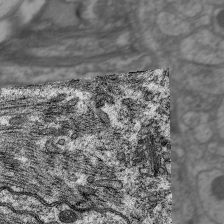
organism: C. elegans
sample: Pharynx